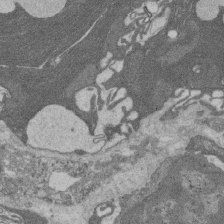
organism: Rat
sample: Salivary granule